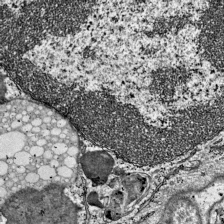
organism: Mouse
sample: Visual Cortex